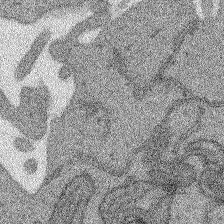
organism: Human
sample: HeLa cells